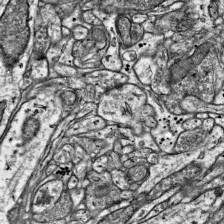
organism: Mouse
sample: Visual Cortex